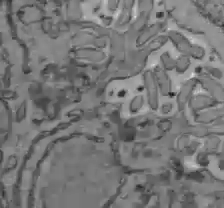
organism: C57BL Mouse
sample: Liver